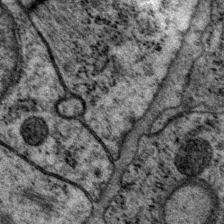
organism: P. pacificus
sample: Pharynx